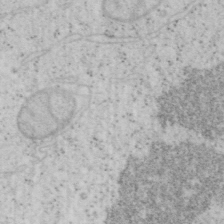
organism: Human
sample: HeLa cells